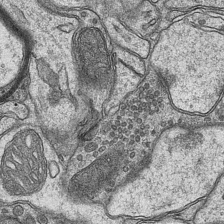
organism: Mouse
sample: CA1 Hippocampus